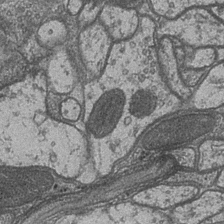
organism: Drosophila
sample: Optic medulla